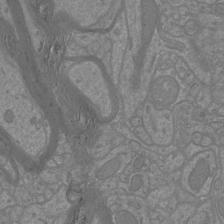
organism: Mouse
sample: Cortical neurons